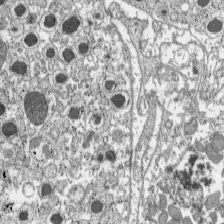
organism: C57BL Mouse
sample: Pancreatic islet